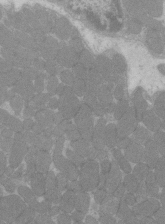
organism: C57BL Mouse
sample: Tibialis anterior muscle cell